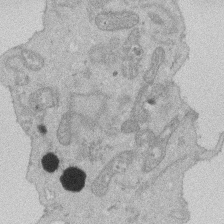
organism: Human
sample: Activated Jurkat CD4+ T cells